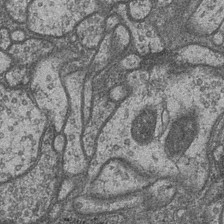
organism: Drosophila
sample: Optic medulla